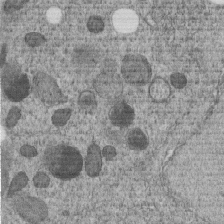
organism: C. elegans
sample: C. elegans embryo early stage